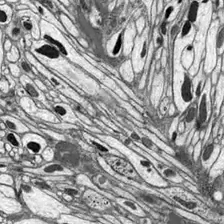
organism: Drosophila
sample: Optic lobe